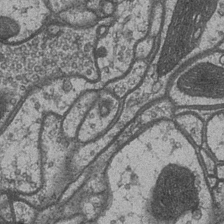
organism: Drosophila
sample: Optic medulla